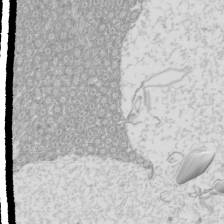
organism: Mouse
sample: Cilia; mouse epididymis